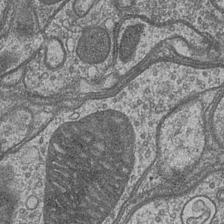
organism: Drosophila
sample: Optic medulla